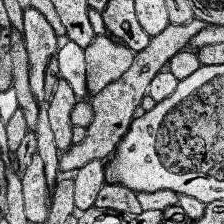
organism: Human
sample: Temporal Lobe